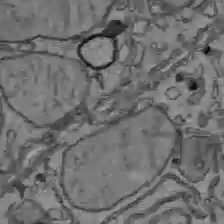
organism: C57BL Mouse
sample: Liver